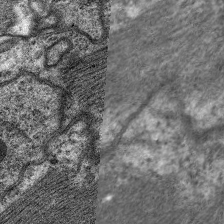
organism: C. elegans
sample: Pharynx